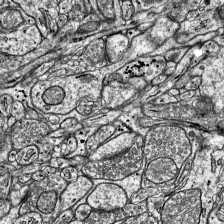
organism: Mouse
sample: Visual Cortex